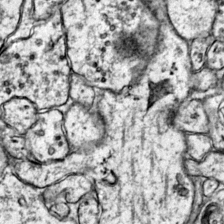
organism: Mouse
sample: Primary visual cortex